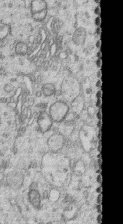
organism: Human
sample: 1205lu cells